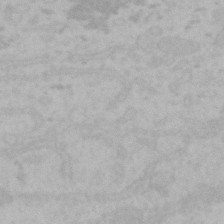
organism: Mouse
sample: Choroid plexus